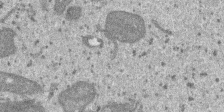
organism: Human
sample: Lung epithelial cells infected with SARS-CoV-2